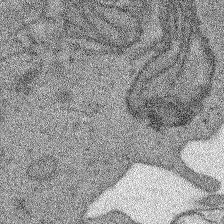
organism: Human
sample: HeLa cells